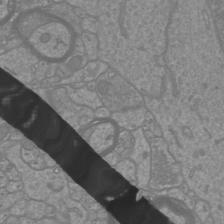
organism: Mouse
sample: Cortical neurons